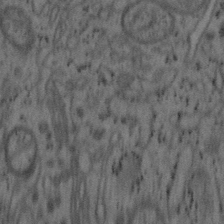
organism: Human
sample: HeLa cells